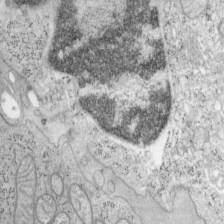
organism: Mouse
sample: OT-I killer T cells with ID8 ovarian cancer cells